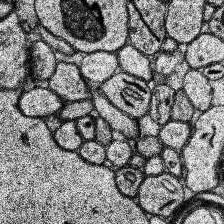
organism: Human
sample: Temporal Lobe